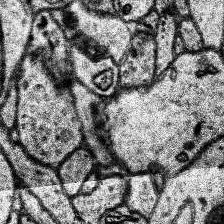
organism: Human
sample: Temporal Lobe